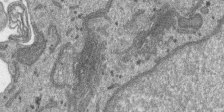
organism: Human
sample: Lung epithelial cells infected with SARS-CoV-2